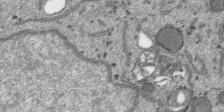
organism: Human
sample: Lung epithelial cells infected with SARS-CoV-2